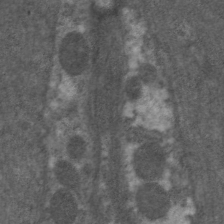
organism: C. elegans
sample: Pharynx